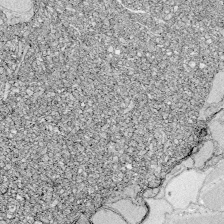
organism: Zebrafish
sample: Whole-Brain